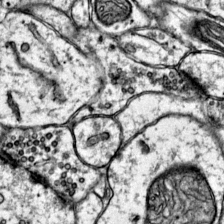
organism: Mouse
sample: Primary visual cortex